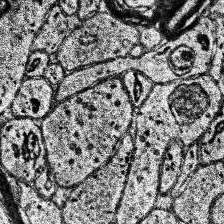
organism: Human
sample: Temporal Lobe